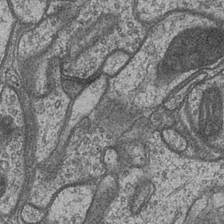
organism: Drosophila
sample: Optic medulla